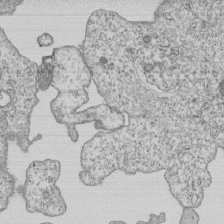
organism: Human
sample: MDA-MB-231 cells